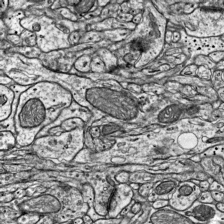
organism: Mouse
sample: Visual Cortex